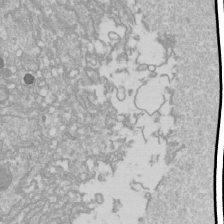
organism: Drosophila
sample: Cell division; meiosis; drosophila spermatocytes